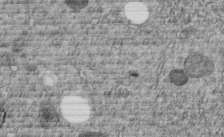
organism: C. elegans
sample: C. elegans embryo early stage